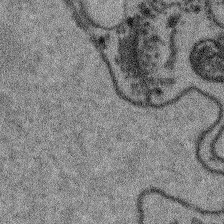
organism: Arabidopsis thaliana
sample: Root tip